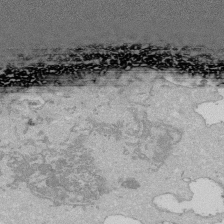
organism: Human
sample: Activated Jurkat CD4+ T cells